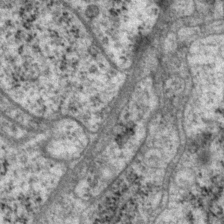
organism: P. pacificus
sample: Pharynx